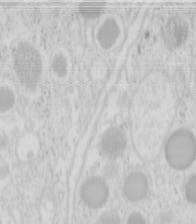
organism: Mouse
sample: Pancreas